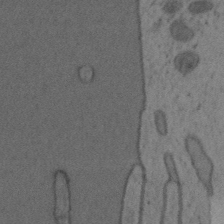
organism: Human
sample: HeLa cells